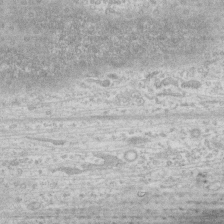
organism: Human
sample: Fibroblast cells